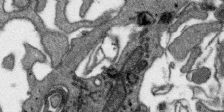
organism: Human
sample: Lung epithelial cells, uninfected (mock) control